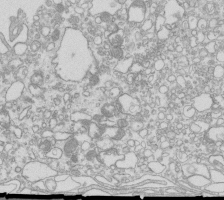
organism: Mouse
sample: Macrophages